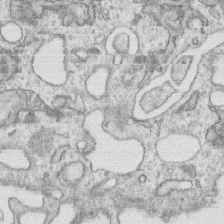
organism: Human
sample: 1205lu cells